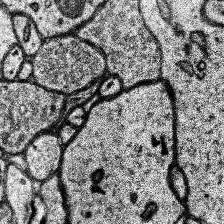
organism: Human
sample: Temporal Lobe